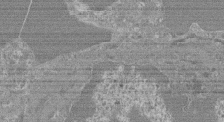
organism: Mouse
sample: Glomerulus